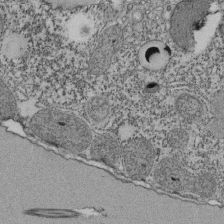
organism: Tetrahymena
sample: Cilia in tetrahymena